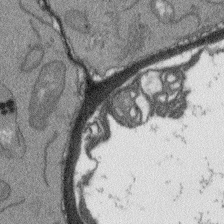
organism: Arabidopsis thaliana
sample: Root tip